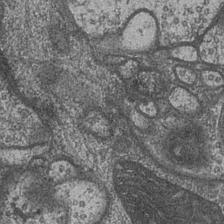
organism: Drosophila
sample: Optic medulla